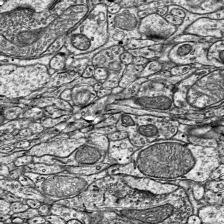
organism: Mouse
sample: Visual Cortex